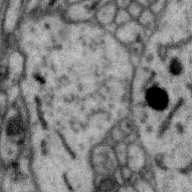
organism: Zebra finch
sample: Brain